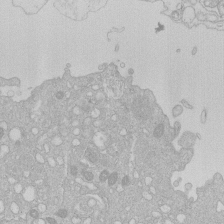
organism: Human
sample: Macrophage cells